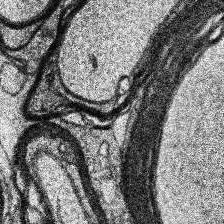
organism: Human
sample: Temporal Lobe